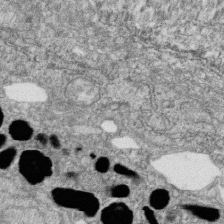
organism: Zebrafish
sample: Cilia; retinal pigment epithelium